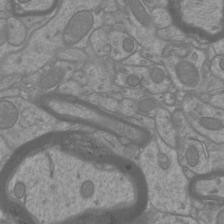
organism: Mouse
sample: Cortical neurons